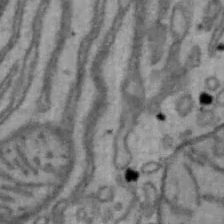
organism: Mouse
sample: Liver